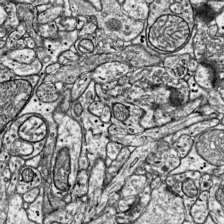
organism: Mouse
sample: Visual Cortex